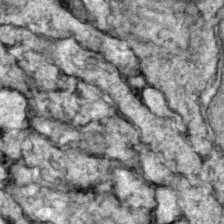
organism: Zebrafish